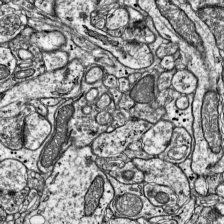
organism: Mouse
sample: Visual Cortex